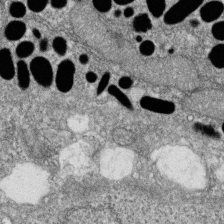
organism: Zebrafish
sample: Cilia; retinal pigment epithelium